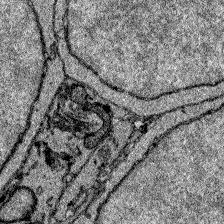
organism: Zebrafish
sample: Larval olfactory bulb